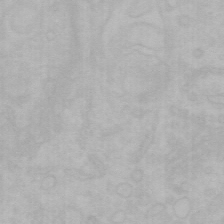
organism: Mouse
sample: Choroid plexus